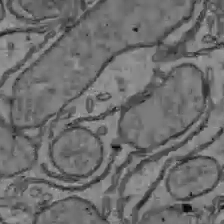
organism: C57BL Mouse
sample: Liver